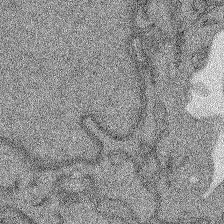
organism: Human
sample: HeLa cells